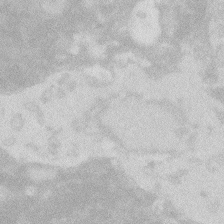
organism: Zebrafish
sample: Macrophage